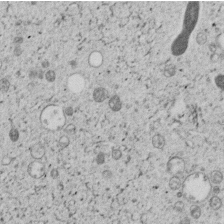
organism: C. elegans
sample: C. elegans embryo early stage